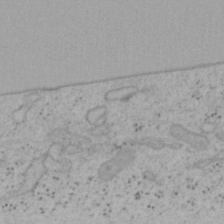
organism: Human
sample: HeLa cells